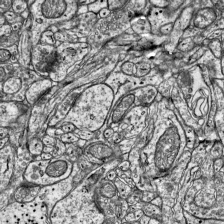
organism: Mouse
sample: Visual Cortex